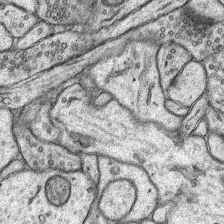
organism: Rat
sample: Hippocampus